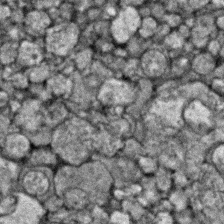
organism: Zebrafish